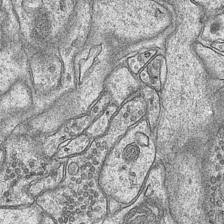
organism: Mouse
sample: CA1 Hippocampus